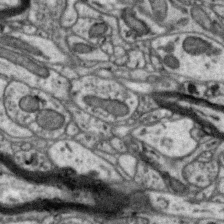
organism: Zebra finch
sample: Brain